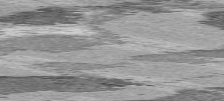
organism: C57BL Mouse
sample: Heart